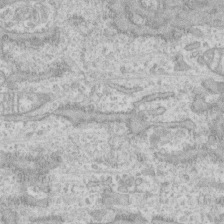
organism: Human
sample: CRL-1474